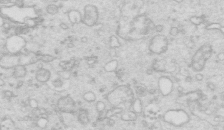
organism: Mouse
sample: Multiciliated cells